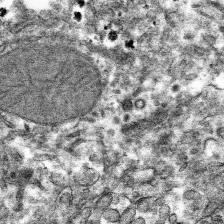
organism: Mouse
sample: Mouse hepatocytes